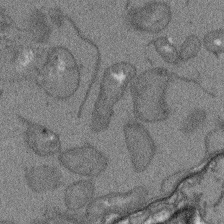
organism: Arabidopsis thaliana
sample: Root tip